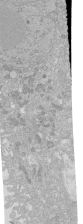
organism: Human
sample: Caco-2 cells